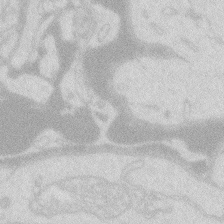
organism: Zebrafish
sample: Macrophage